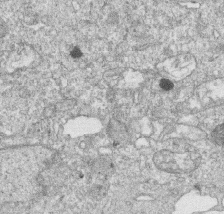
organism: Human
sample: HeLa cell HIV synapse